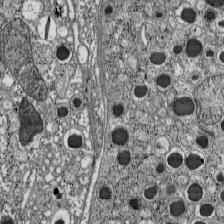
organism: C57BL Mouse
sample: Pancreatic islet